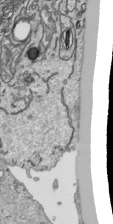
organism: Human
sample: Mitochondria in HCT116 cells